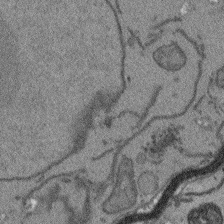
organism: Arabidopsis thaliana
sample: Root tip